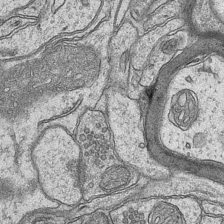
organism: Mouse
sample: CA1 Hippocampus